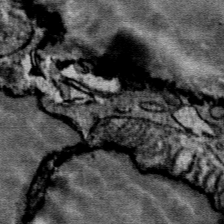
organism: Mouse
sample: Mouse Salivary gland